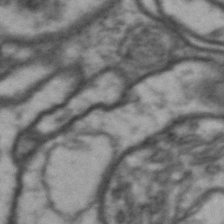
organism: Drosophila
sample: Brain